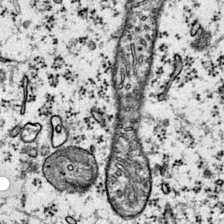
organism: Mouse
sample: Primary visual cortex